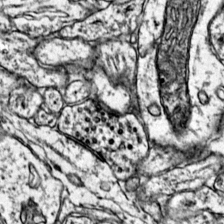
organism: Mouse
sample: Primary visual cortex